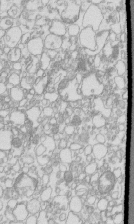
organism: Mouse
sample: Macrophages